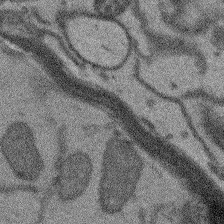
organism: Arabidopsis thaliana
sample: Root tip